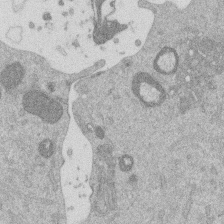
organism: Mouse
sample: Dividing mouse embryo 1 cell stage